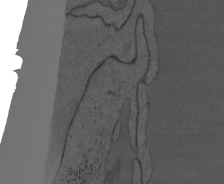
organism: Mouse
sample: OT-I killer T cells with ID8 ovarian cancer cells